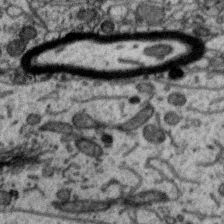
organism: Zebra finch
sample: Brain